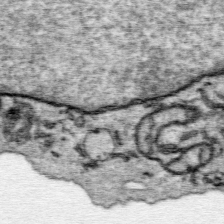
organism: Human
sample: HeLa cells